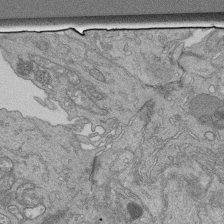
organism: Human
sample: Retinal organoid Rod and Cone cells